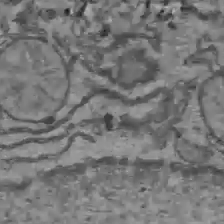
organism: C57BL Mouse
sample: Liver